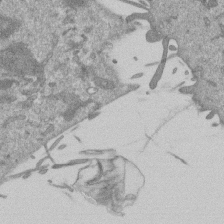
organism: Mouse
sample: ED-1 cell nuclei; centrioles